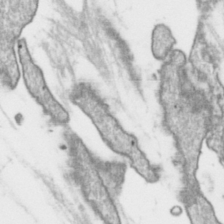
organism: Toxoplasma gondii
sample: Parasites in a vacuole inside a host cell